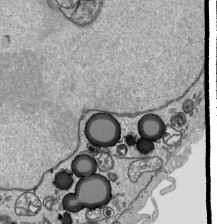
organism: Human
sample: Mitochondria in HCT116 cells